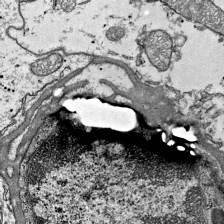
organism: Mouse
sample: Visual Cortex